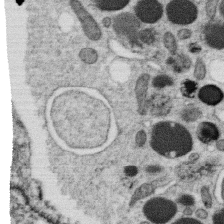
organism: C. elegans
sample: C. elegans oocyte; sperm cells